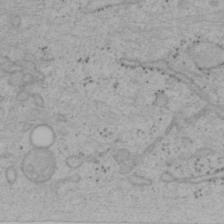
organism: Human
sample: HeLa cells